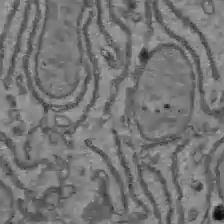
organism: C57BL Mouse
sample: Liver